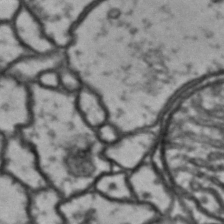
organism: Drosophila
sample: Brain